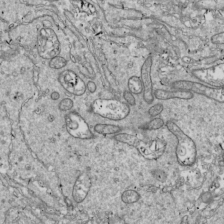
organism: Drosophila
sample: Cell division; meiosis; drosophila spermatocytes